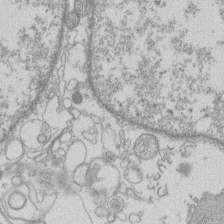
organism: Human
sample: Macrophage cells